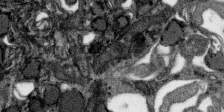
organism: Human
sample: Lung epithelial cells, uninfected (mock) control